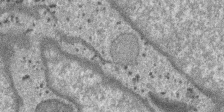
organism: Human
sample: Lung epithelial cells infected with SARS-CoV-2